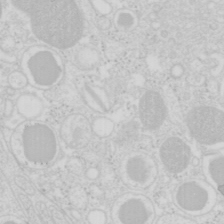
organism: Mouse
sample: Pancreas